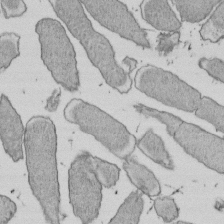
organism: E. coli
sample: Bacterial nucleoid